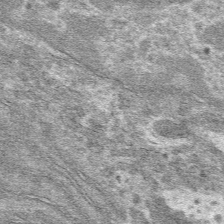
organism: Mouse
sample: Mouse hepatocytes